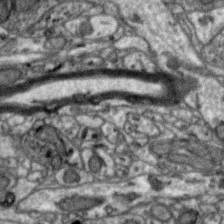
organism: Zebra finch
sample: Brain